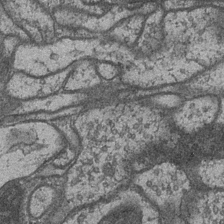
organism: Drosophila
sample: Optic medulla